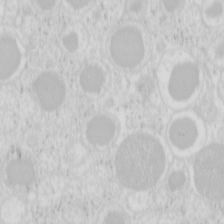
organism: Mouse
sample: Pancreas